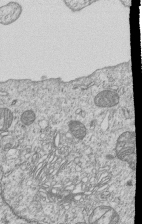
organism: Human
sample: MDA-MB-231 cells